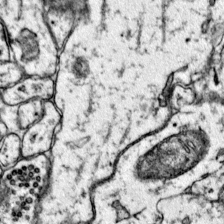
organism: Mouse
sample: Primary visual cortex